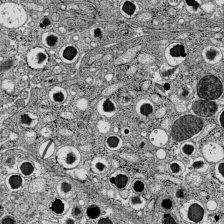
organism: C57BL Mouse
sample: Pancreatic islet